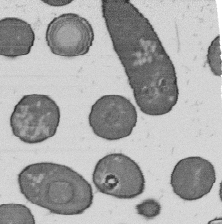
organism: B. subtilis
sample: Bacterial spore